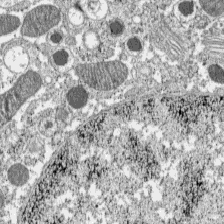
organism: C57BL Mouse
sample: Pancreatic islet